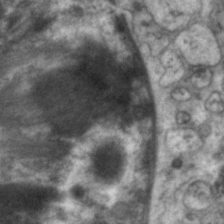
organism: C. elegans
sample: Pharynx